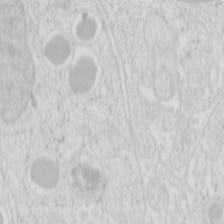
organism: Mouse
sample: Pancreas